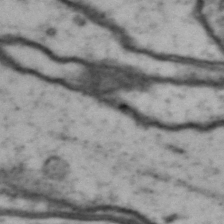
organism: Drosophila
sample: Brain